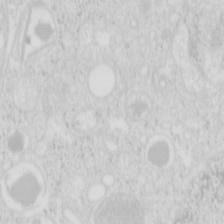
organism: Mouse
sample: Pancreas